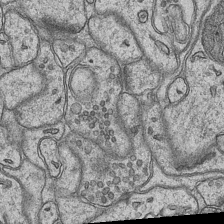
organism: Mouse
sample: CA1 Hippocampus